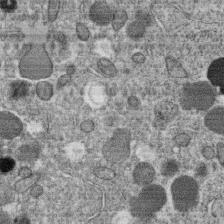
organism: C. elegans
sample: C. elegans oocyte; sperm cells